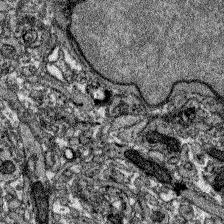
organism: Zebrafish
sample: Larval olfactory bulb